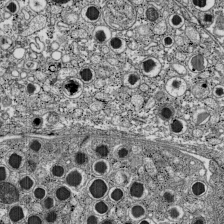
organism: C57BL Mouse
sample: Pancreatic islet